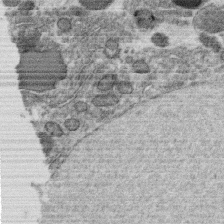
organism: C. elegans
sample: C. elegans oocyte; sperm cells